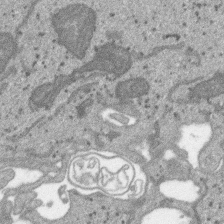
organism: Human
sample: Lung epithelial cells infected with SARS-CoV-2